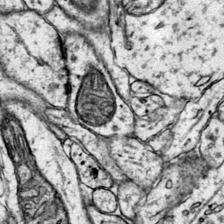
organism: Mouse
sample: Primary visual cortex